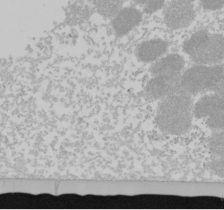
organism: Mouse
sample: Cancer cell death in ED-1 cells